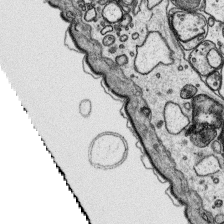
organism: Platynereis dumerilii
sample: Parapodia